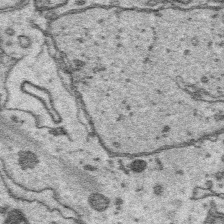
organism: Platynereis dumerilii